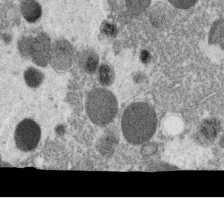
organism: C. elegans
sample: C. elegans oocyte; sperm cells